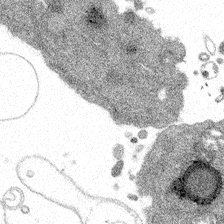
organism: Spongilla lacustris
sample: Multiple